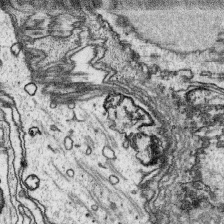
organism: Platynereis dumerilii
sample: Parapodia